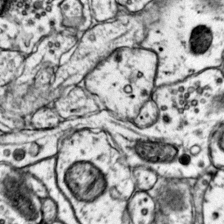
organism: Mouse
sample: Primary visual cortex